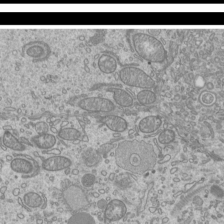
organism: Mouse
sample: Cilia; mouse epididymis